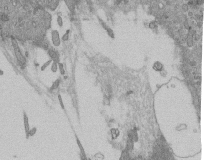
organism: Mouse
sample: ED-1 cell nuclei; centrioles